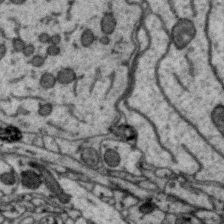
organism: Zebra finch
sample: Brain